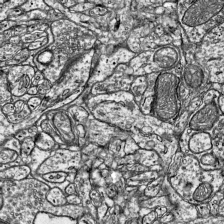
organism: Mouse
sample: Visual Cortex